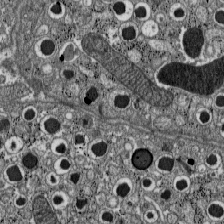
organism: C57BL Mouse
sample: Pancreatic islet